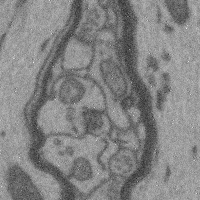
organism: Mouse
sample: Cerebral cortex